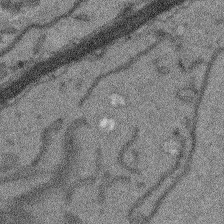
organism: Arabidopsis thaliana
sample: Root tip